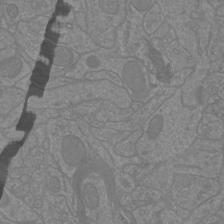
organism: Mouse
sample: Cortical neurons